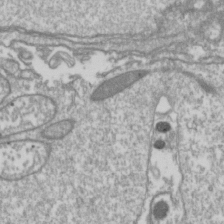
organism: Drosophila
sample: Cell division; meiosis; drosophila spermatocytes